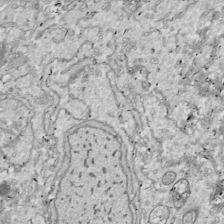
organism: Drosophila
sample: Cell division; meiosis; drosophila spermatocytes